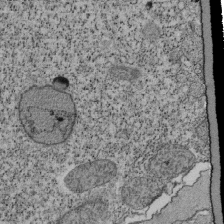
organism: Tetrahymena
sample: Cilia in tetrahymena